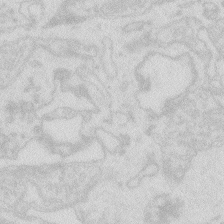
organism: Zebrafish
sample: Macrophage